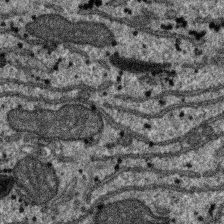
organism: Human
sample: Lung epithelial cells infected with SARS-CoV-2